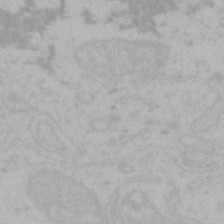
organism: Mouse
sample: Choroid plexus